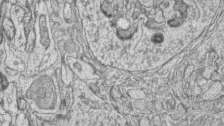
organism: Zebrafish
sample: synaptic ribbons in rod cells and cone cells